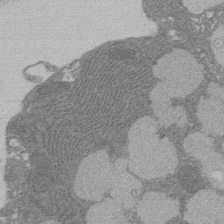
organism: Rat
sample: Salivary granule